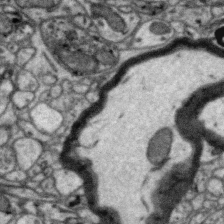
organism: Zebra finch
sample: Brain